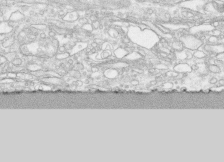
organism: Human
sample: CRL-1474